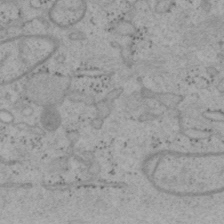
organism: Human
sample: HeLa cells